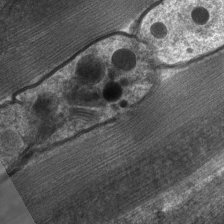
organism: C. elegans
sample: Pharynx